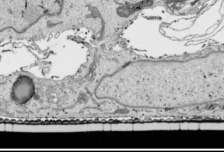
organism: Human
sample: Mitochondria in HCT116 cells